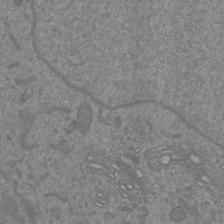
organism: Mouse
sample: Cortical neurons